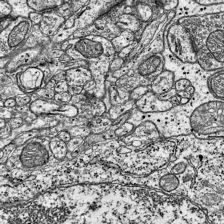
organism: Mouse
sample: Visual Cortex